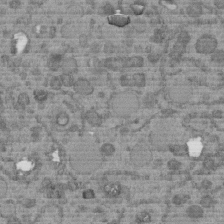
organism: C. elegans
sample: C. elegans embryo early stage